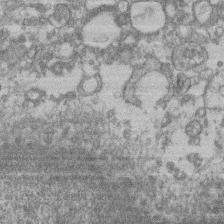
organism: Mouse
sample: T cell stromal cell synapse